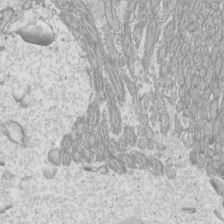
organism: Mouse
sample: Cilia; mouse epididymis